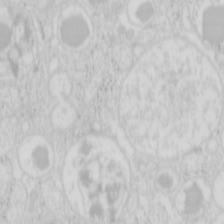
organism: Mouse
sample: Pancreas